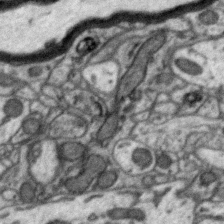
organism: Zebra finch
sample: Brain